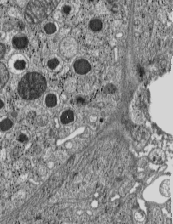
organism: C57BL Mouse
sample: Pancreatic islet